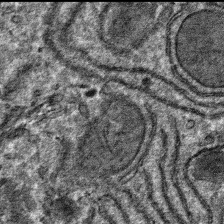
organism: Mouse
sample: Mouse hepatocytes